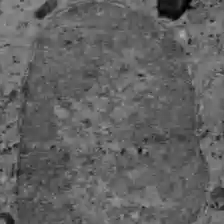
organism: C57BL Mouse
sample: Liver